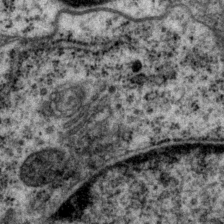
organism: P. pacificus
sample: Pharynx